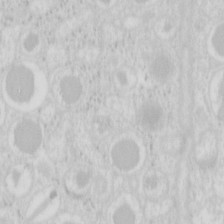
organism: Mouse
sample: Pancreas